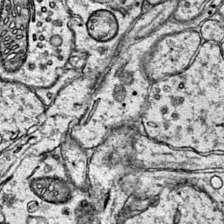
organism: Mouse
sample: Primary visual cortex